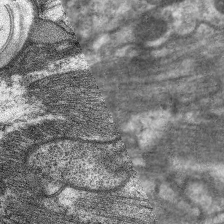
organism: C. elegans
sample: Pharynx